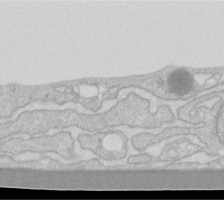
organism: Human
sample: Fibroblast cells